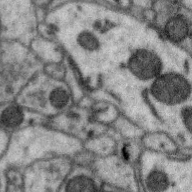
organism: Zebra finch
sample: Brain